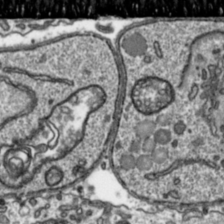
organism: Toxoplasma gondii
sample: Parasites in a vacuole inside a host cell